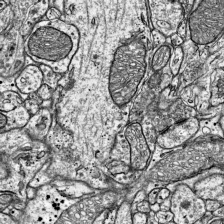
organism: Mouse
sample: Visual Cortex